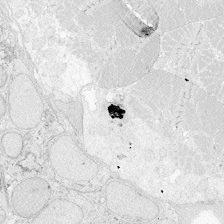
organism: Zebrafish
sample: Whole-Brain